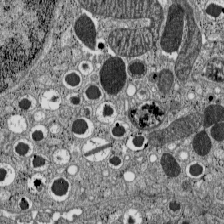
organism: C57BL Mouse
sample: Pancreatic islet